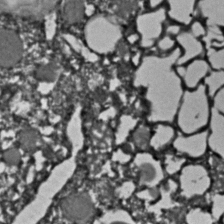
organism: C. elegans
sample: C. elegans embryo